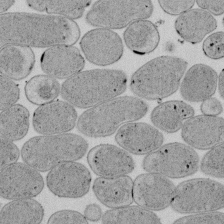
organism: E. coli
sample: Bacterial nucleoid